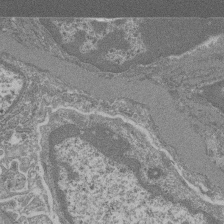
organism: Mouse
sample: Glomerulus